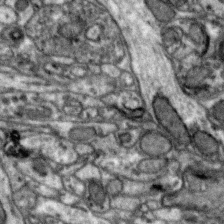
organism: Zebra finch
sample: Brain